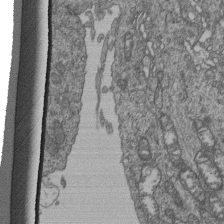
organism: Human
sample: Retinal organoid Rod and Cone cells